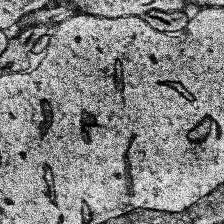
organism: Human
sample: Temporal Lobe